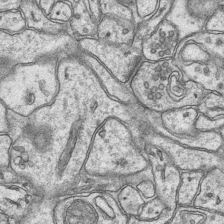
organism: Mouse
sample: CA1 Hippocampus